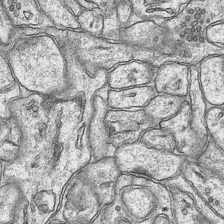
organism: Mouse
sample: CA1 Hippocampus